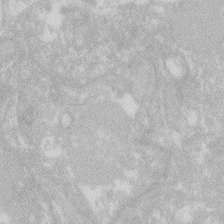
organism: Zebrafish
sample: Macrophage